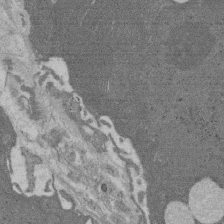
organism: Rat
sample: Salivary granule